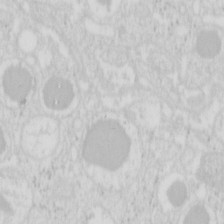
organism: Mouse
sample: Pancreas